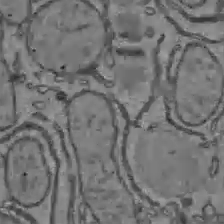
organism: C57BL Mouse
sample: Liver